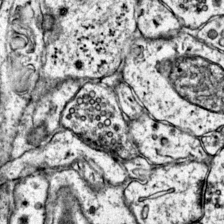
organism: Mouse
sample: Primary visual cortex